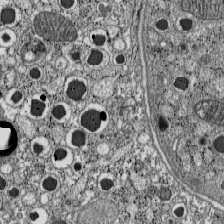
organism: C57BL Mouse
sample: Pancreatic islet